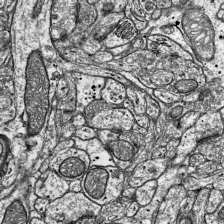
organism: Mouse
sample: Visual Cortex